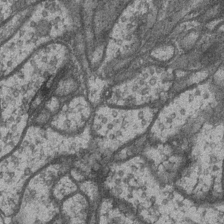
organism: Drosophila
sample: Optic medulla